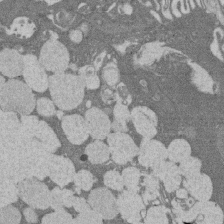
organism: Rat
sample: Salivary granule